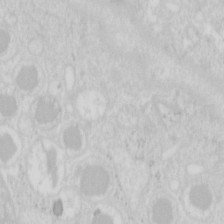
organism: Mouse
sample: Pancreas